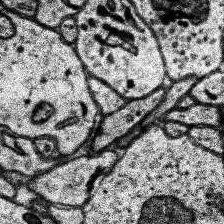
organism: Human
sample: Temporal Lobe